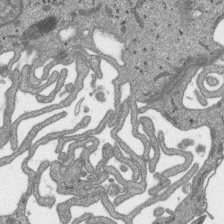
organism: Human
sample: Lung epithelial cells infected with SARS-CoV-2